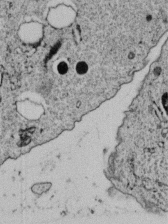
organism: C. elegans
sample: C. elegans embryo early stage